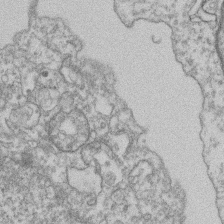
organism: Mouse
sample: T cell stromal cell synapse